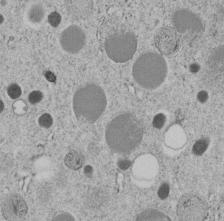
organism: C. elegans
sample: C. elegans embryo early stage